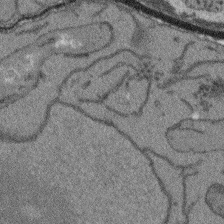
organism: Arabidopsis thaliana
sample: Root tip